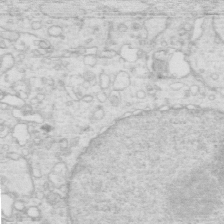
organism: Mouse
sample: Multiciliated cells